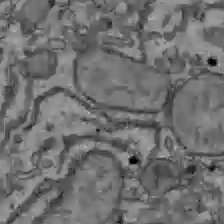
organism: C57BL Mouse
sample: Liver